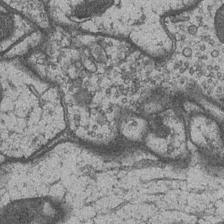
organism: Drosophila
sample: Optic medulla